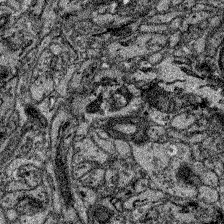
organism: Zebrafish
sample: Larval olfactory bulb